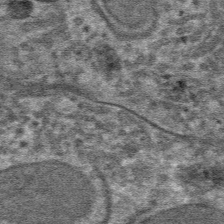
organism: Mouse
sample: Mouse hepatocytes